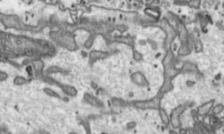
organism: Toxoplasma gondii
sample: Parasites in a vacuole inside a host cell